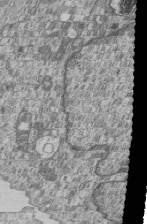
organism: Human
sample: MDA-MB-231 cells